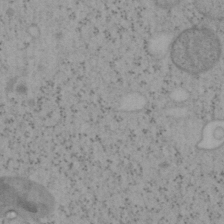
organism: Mouse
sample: OT-I killer T cells with ID8 ovarian cancer cells